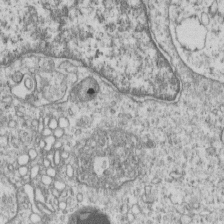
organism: Human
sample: MDA-MB-231 cells